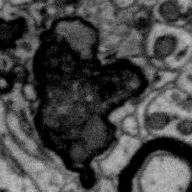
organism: Zebra finch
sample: Brain